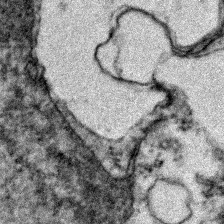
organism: Zebrafish